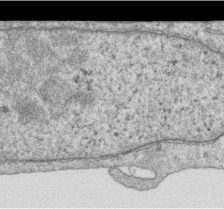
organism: Human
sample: Centriole in RPE cells